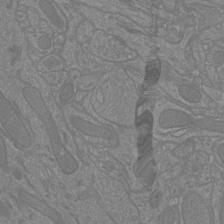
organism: Mouse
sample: Cortical neurons